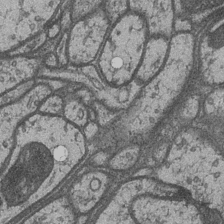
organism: Drosophila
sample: Optic medulla